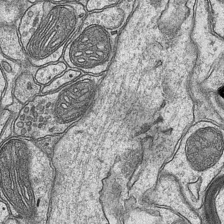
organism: Mouse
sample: CA1 Hippocampus